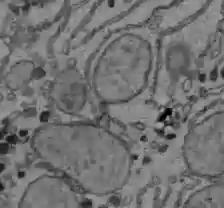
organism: C57BL Mouse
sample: Liver